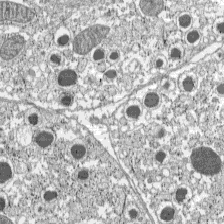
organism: C57BL Mouse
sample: Pancreatic islet